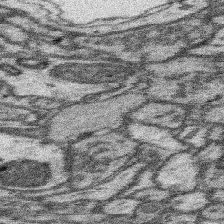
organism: Mouse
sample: Somatosensory cortex neuropil